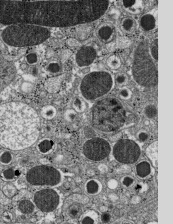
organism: C57BL Mouse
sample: Pancreatic islet